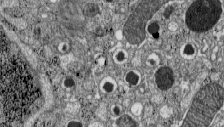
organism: C57BL Mouse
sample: Pancreatic islet